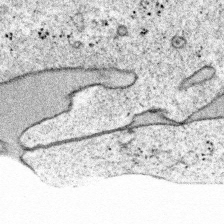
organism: Human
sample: HeLa cells